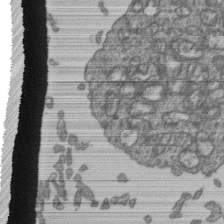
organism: Human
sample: Retinal organoid Rod and Cone cells